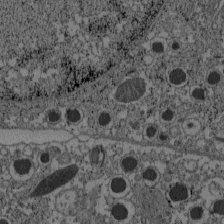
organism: C57BL Mouse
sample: Pancreatic islet